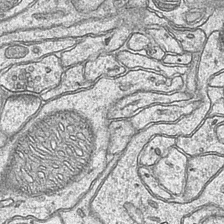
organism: Mouse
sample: CA1 Hippocampus